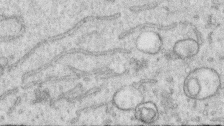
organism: Human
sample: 1205lu cells